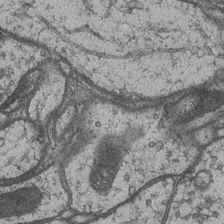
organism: Drosophila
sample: Optic medulla